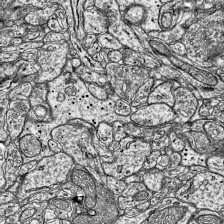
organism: Mouse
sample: Visual Cortex